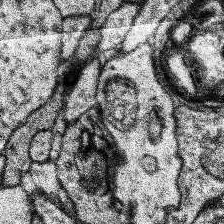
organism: Human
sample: Temporal Lobe